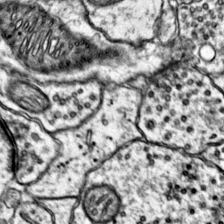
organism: Mouse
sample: Primary visual cortex